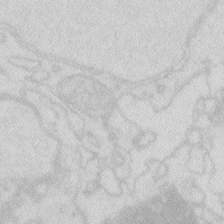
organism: Zebrafish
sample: Macrophage